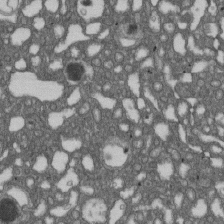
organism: Drosophila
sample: Nephrocyte